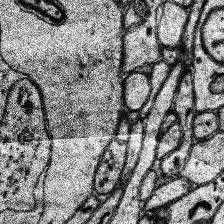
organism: Human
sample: Temporal Lobe